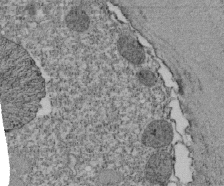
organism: Tetrahymena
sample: Cilia in tetrahymena